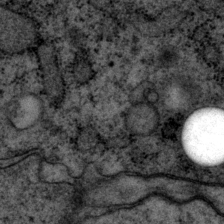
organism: P. pacificus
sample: Pharynx